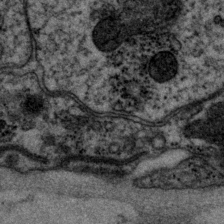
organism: P. pacificus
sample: Pharynx